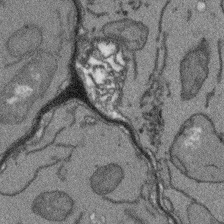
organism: Arabidopsis thaliana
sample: Root tip